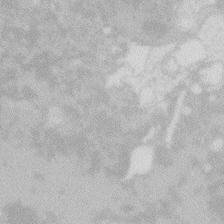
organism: Zebrafish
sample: Macrophage